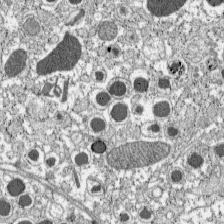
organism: C57BL Mouse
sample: Pancreatic islet